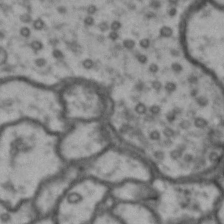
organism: Drosophila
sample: Brain